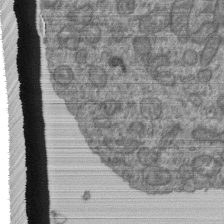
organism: Human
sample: Retinal organoid Rod and Cone cells